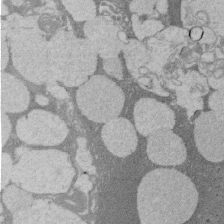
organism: Rat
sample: Salivary granule